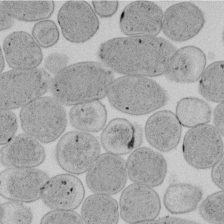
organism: E. coli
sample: Bacterial nucleoid